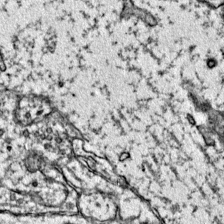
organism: Mouse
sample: Primary visual cortex